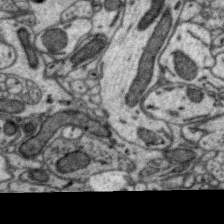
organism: Zebra finch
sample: Brain